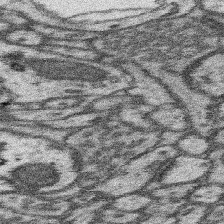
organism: Mouse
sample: Somatosensory cortex neuropil